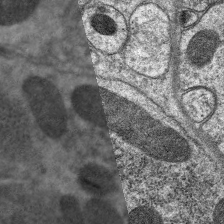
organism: C. elegans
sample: Pharynx